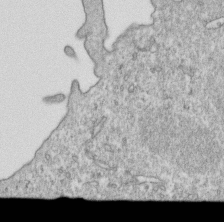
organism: Mouse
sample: Activated OT-1 CD8+ T cells